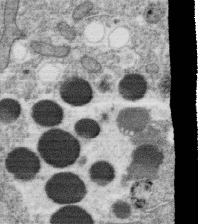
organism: C. elegans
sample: C. elegans oocyte; sperm cells